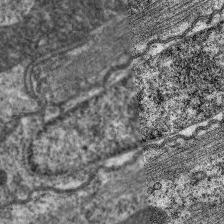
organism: C. elegans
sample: Pharynx